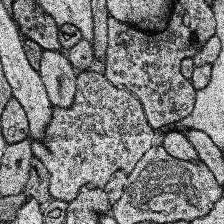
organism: Human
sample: Temporal Lobe